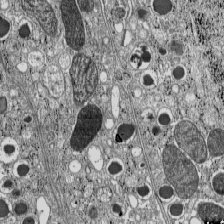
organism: C57BL Mouse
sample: Pancreatic islet